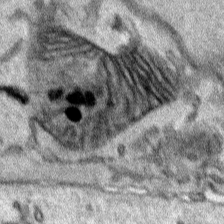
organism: Human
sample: Mitochondria in HCT116 cells